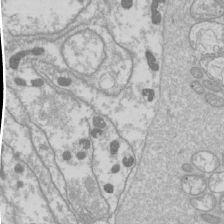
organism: Drosophila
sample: Cell division; meiosis; drosophila spermatocytes